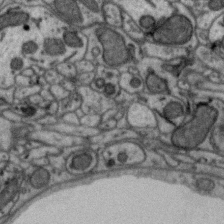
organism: Zebra finch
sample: Brain